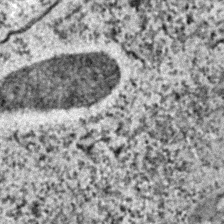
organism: C. elegans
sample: C. elegans embryo